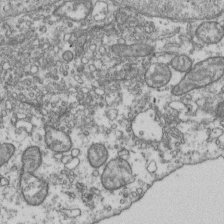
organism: Human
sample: Activated Jurkat CD4+ T cells